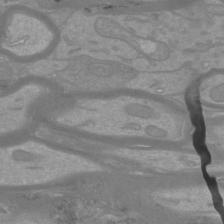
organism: Mouse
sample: Cortical neurons